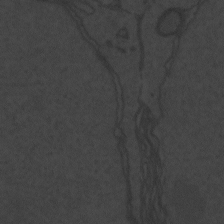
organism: Zebrafish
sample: Macrophage infected with Toxoplasma gondii